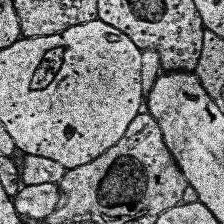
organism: Human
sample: Temporal Lobe